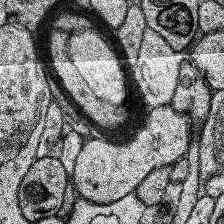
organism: Human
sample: Temporal Lobe